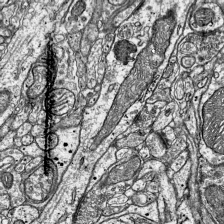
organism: Mouse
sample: Visual Cortex